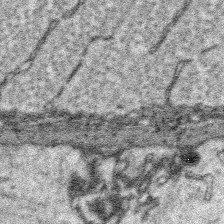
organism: Platynereis dumerilii